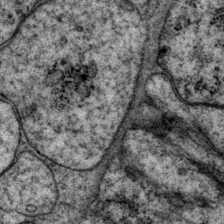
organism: P. pacificus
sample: Pharynx